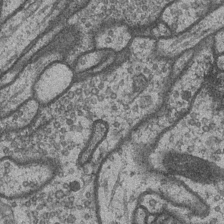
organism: Drosophila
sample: Optic medulla